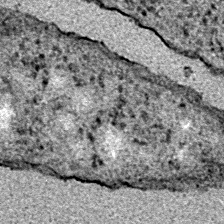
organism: E. coli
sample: E. Coli Bacteria